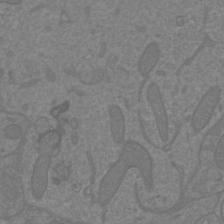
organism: Mouse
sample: Cortical neurons